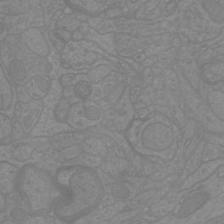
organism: Mouse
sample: Cortical neurons